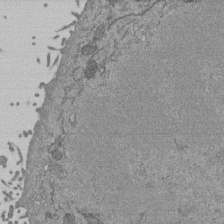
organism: Mouse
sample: ED-1 cell nuclei; centrioles